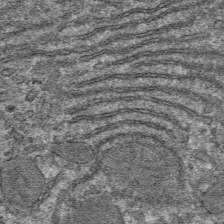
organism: Mouse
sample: Mouse hepatocytes